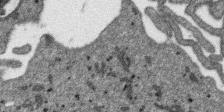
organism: Human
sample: Lung epithelial cells infected with SARS-CoV-2